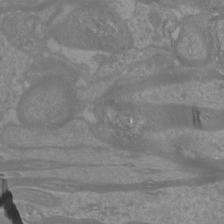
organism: Mouse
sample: Cortical neurons